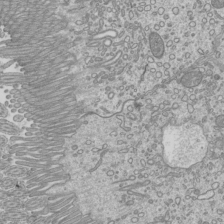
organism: Mouse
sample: Cilia; mouse epididymis